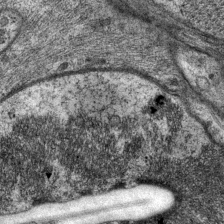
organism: P. pacificus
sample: Pharynx